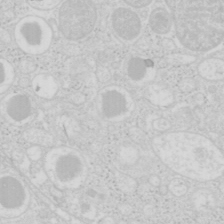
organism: Mouse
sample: Pancreas